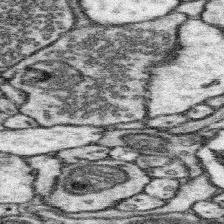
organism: Mouse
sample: Somatosensory cortex neuropil